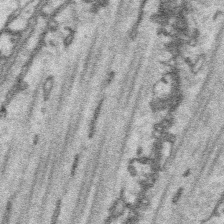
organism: Platynereis dumerilii